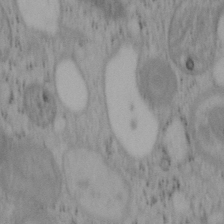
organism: Mouse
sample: OT-I killer T cells with ID8 ovarian cancer cells